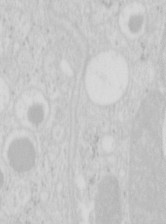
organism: Mouse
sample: Pancreas